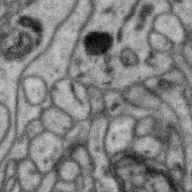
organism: Zebra finch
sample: Brain